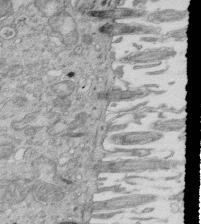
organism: Mouse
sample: Multiciliated cells